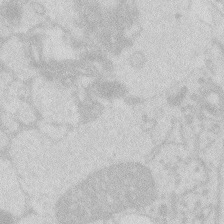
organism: Zebrafish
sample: Macrophage